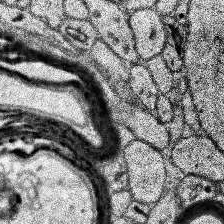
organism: Human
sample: Temporal Lobe